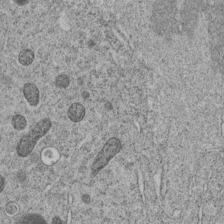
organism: C. elegans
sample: C. elegans embryo early stage